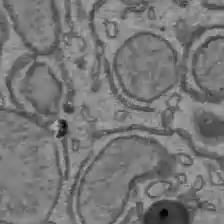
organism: C57BL Mouse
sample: Liver